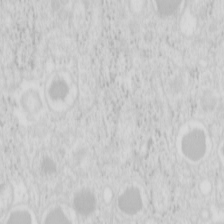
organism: Mouse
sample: Pancreas